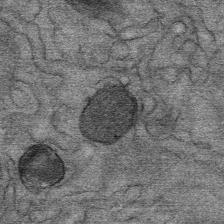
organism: Mouse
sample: Mouse Salivary gland